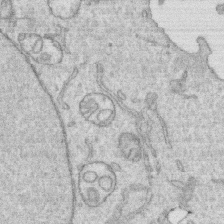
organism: Human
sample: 1205lu cells